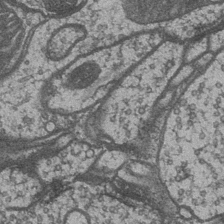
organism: Drosophila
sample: Optic medulla